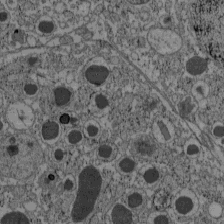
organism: C57BL Mouse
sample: Pancreatic islet